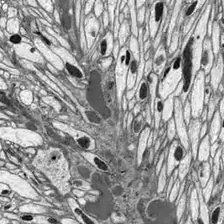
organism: Drosophila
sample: Optic lobe